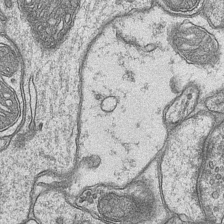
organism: Mouse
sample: CA1 Hippocampus